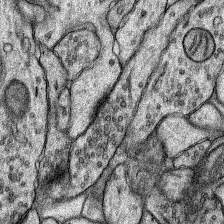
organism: Rat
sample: Hippocampus